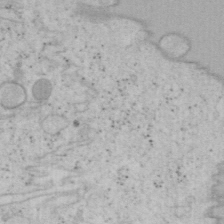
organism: Human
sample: HeLa cells